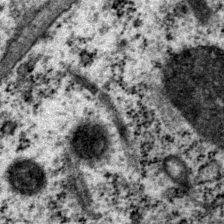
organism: P. pacificus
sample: Pharynx